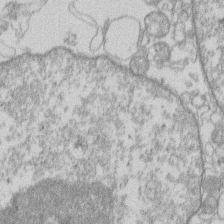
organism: Human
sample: Macrophage cells